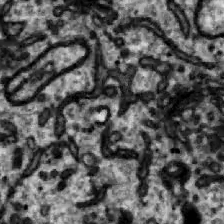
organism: Human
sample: HeLa cells